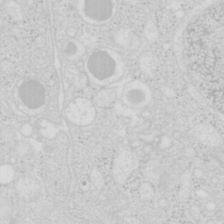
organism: Mouse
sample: Pancreas